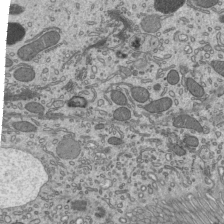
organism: Mouse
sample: Mouse epididymis efferent ductule cilia